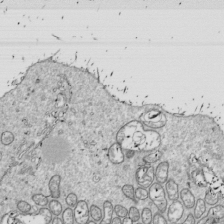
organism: Drosophila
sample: Cell division; meiosis; drosophila spermatocytes